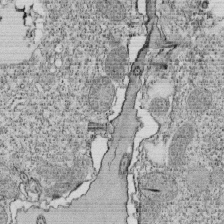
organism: Tetrahymena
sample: Cilia in tetrahymena